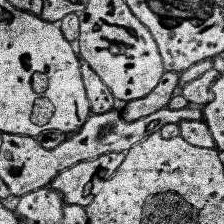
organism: Human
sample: Temporal Lobe